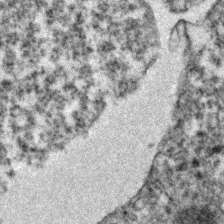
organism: Zebrafish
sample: Zebrafish embryo